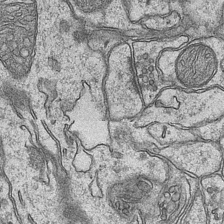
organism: Mouse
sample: CA1 Hippocampus